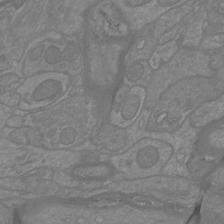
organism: Mouse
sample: Cortical neurons